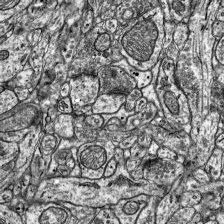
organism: Mouse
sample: Visual Cortex